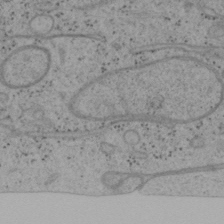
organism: Human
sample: HeLa cells